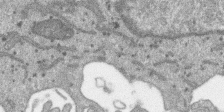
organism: Human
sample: Lung epithelial cells infected with SARS-CoV-2